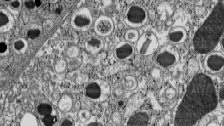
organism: C57BL Mouse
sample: Pancreatic islet